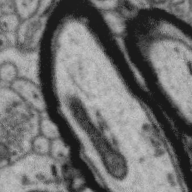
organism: Zebra finch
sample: Brain